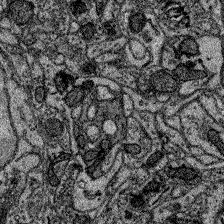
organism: Zebrafish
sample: Larval olfactory bulb